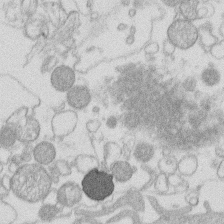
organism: Human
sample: Macrophage cells